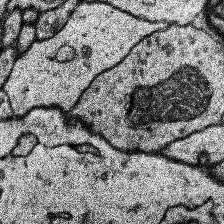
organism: Human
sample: Temporal Lobe